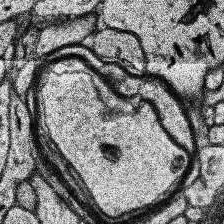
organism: Human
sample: Temporal Lobe